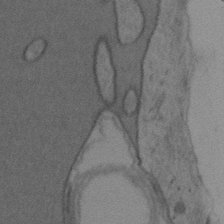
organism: Human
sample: HeLa cells